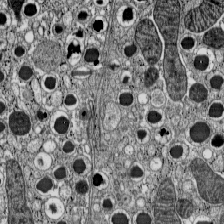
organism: C57BL Mouse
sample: Pancreatic islet